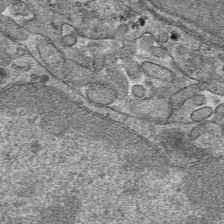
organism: Mouse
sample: Mouse hepatocytes